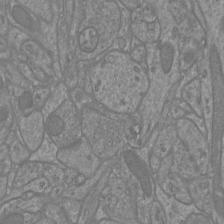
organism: Mouse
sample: Cortical neurons